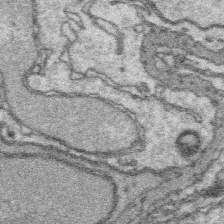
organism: Platynereis dumerilii